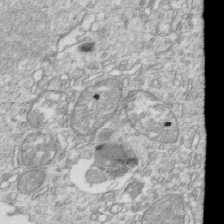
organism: Mouse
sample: Activated OT-1 CD8+ T cells